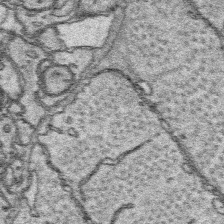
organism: Platynereis dumerilii